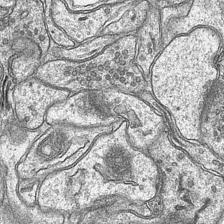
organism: Mouse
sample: CA1 Hippocampus